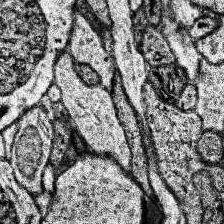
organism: Human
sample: Temporal Lobe